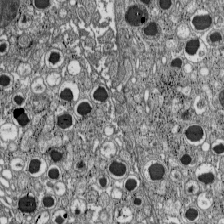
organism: C57BL Mouse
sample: Pancreatic islet